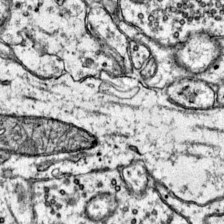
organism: Mouse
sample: Primary visual cortex